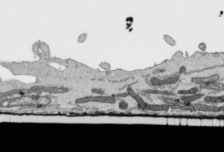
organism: Human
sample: Mitochondria in HCT116 cells